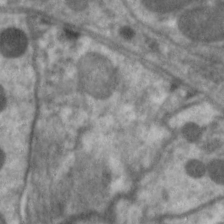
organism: C. elegans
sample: Pharynx